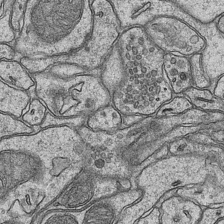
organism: Mouse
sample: CA1 Hippocampus